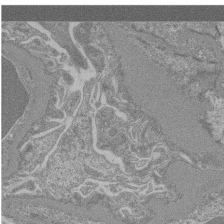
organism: Mouse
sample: Glomerulus